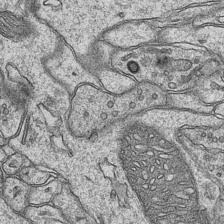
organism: Mouse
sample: CA1 Hippocampus